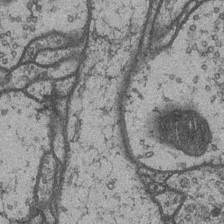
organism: Drosophila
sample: Optic medulla